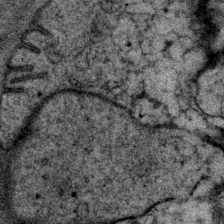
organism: P. pacificus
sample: Pharynx